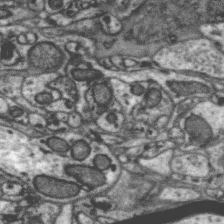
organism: Zebra finch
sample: Brain